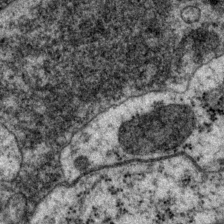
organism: P. pacificus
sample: Pharynx